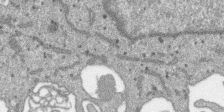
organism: Human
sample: Lung epithelial cells infected with SARS-CoV-2